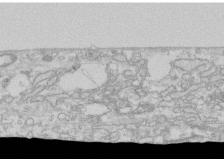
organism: Human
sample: CRL-1474